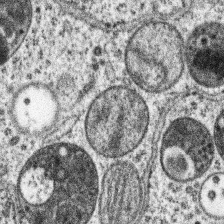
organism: Human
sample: HeLa cells